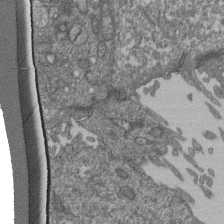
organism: Human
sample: Retinal organoid Rod and Cone cells